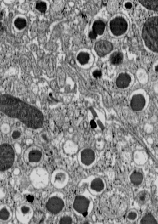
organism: C57BL Mouse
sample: Pancreatic islet